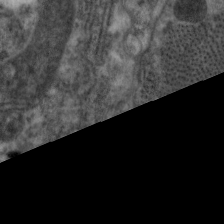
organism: C. elegans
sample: Pharynx